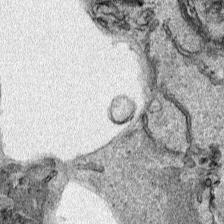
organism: Human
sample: Mitochondria in HCT116 cells